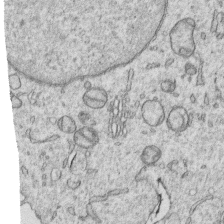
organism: Human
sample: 1205lu cells